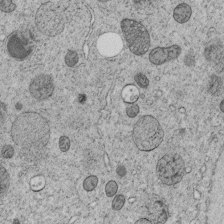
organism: C. elegans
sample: C. elegans embryo early stage